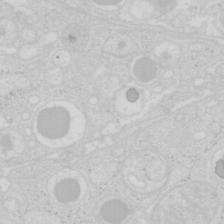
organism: Mouse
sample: Pancreas